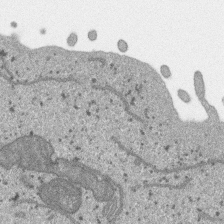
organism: Human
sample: Lung epithelial cells infected with SARS-CoV-2